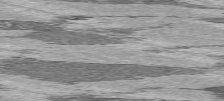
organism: C57BL Mouse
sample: Heart